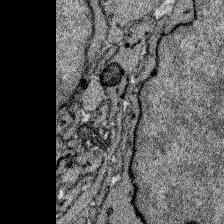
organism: Zebrafish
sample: Larval olfactory bulb